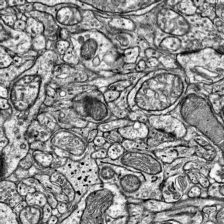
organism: Mouse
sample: Visual Cortex